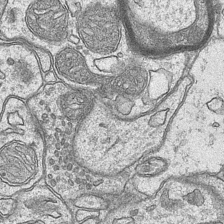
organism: Mouse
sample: CA1 Hippocampus